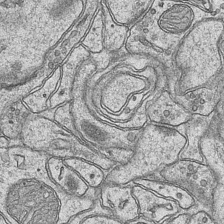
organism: Mouse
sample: CA1 Hippocampus